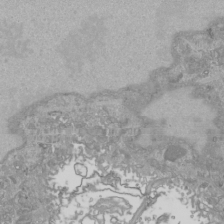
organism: Human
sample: Mitochondria in HCT116 cells